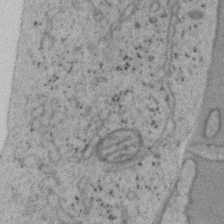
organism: Human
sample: HeLa cells